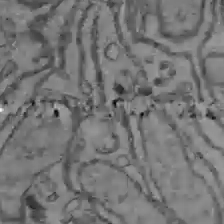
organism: C57BL Mouse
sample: Liver